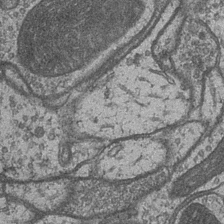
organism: Drosophila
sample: Optic medulla